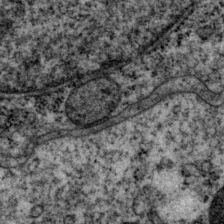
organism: P. pacificus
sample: Pharynx